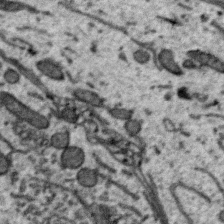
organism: Zebra finch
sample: Brain